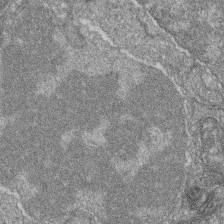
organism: Zebrafish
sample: Cilia; retinal pigment epithelium